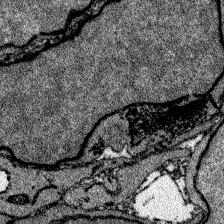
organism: Zebrafish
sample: Larval olfactory bulb